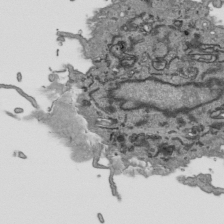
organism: Human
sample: Mitochondria in HCT116 cells